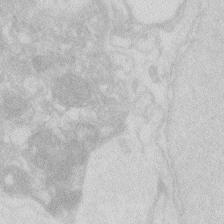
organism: Zebrafish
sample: Macrophage